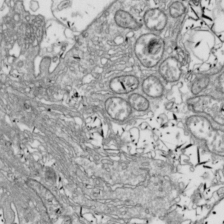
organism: Drosophila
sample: Cell division; meiosis; drosophila spermatocytes